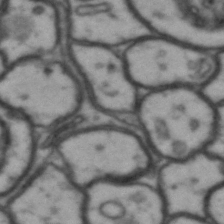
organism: Drosophila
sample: Brain